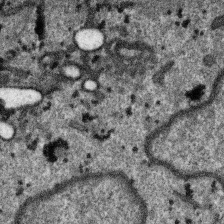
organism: Human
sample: Lung epithelial cells infected with SARS-CoV-2